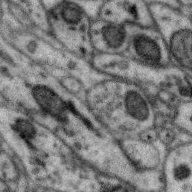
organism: Zebra finch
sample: Brain